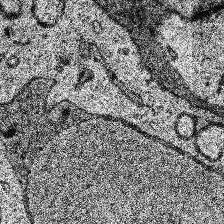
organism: Human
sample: Temporal Lobe